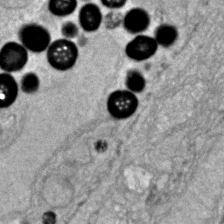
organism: Zebrafish